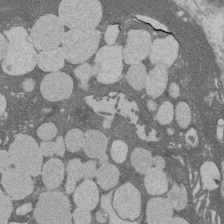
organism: Rat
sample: Salivary granule